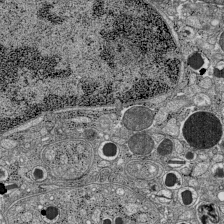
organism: C57BL Mouse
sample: Pancreatic islet